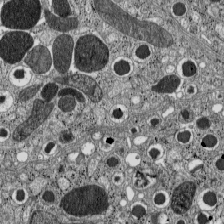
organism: C57BL Mouse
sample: Pancreatic islet